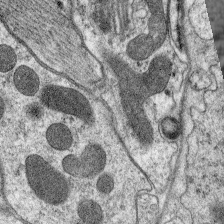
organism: C. elegans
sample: Pharynx